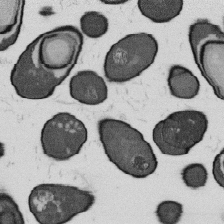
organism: B. subtilis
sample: Bacterial spore